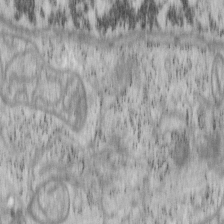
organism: Human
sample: HeLa cells